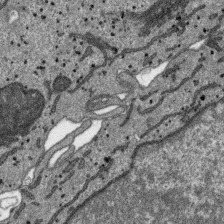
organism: Human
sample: Lung epithelial cells, uninfected (mock) control